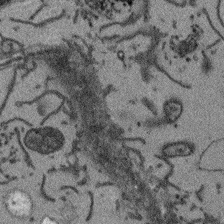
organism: Arabidopsis thaliana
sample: Root tip